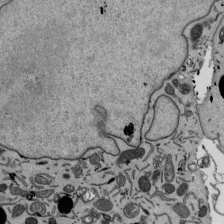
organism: Mouse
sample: ED-1 cell nuclei; centrioles